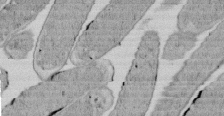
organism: E. coli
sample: Bacterial nucleoid